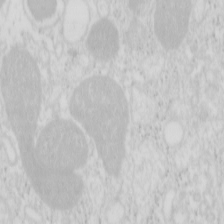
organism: Mouse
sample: Pancreas